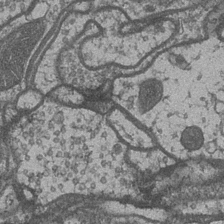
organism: Drosophila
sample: Optic medulla